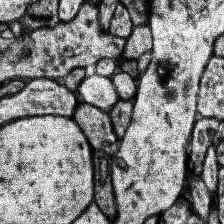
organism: Human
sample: Temporal Lobe